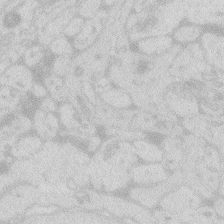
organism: Zebrafish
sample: Macrophage